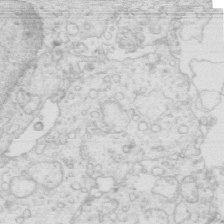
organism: Mouse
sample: Multiciliated cells